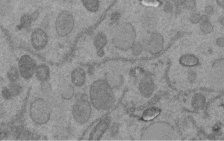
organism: C. elegans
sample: C. elegans embryo early stage